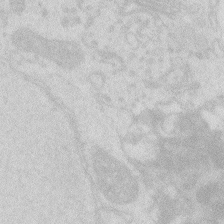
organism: Zebrafish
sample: Macrophage